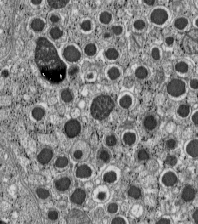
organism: C57BL Mouse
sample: Pancreatic islet